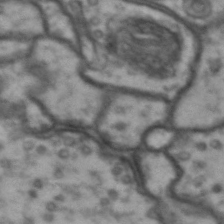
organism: Drosophila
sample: Brain